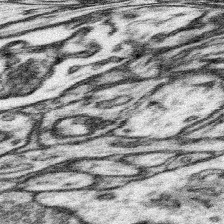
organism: Mouse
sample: Somatosensory cortex neuropil